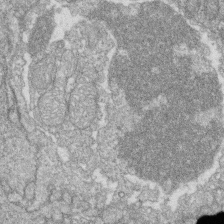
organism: Zebrafish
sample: Cilia; retinal pigment epithelium